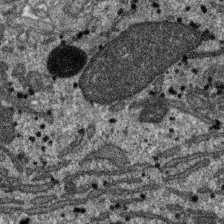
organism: Human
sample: Lung epithelial cells infected with SARS-CoV-2